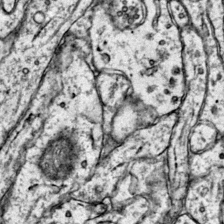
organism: Mouse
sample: Primary visual cortex